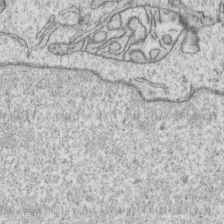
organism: Human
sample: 1205lu cells